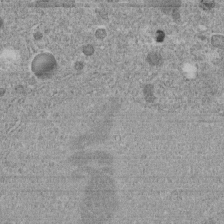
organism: C. elegans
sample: C. elegans embryo early stage